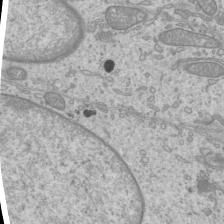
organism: Mouse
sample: Cilia; mouse epididymis